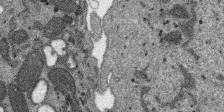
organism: Human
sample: Lung epithelial cells infected with SARS-CoV-2